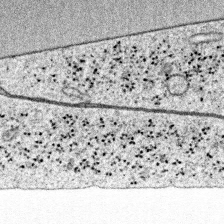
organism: Human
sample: HeLa cells